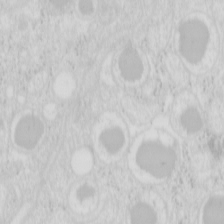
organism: Mouse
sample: Pancreas